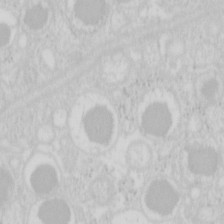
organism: Mouse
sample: Pancreas